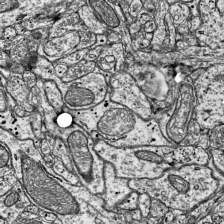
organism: Mouse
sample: Visual Cortex